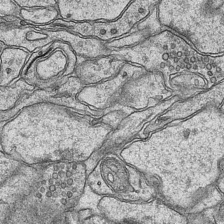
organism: Mouse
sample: CA1 Hippocampus